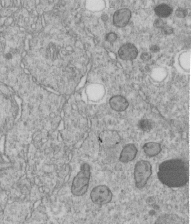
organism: C. elegans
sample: C. elegans embryo early stage